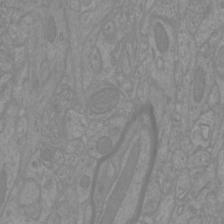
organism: Mouse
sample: Cortical neurons